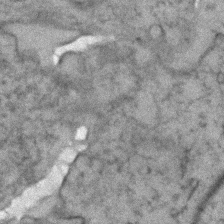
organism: Zebrafish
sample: Zebrafish embryo